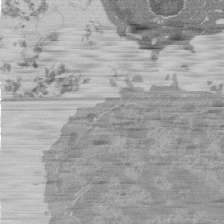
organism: Mouse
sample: Activated Pmel transgenic CD8+ T Cells